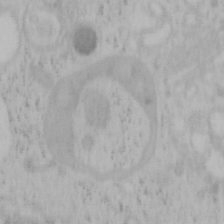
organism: Mouse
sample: OT-I killer T cells with ID8 ovarian cancer cells